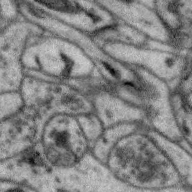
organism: Zebra finch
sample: Brain